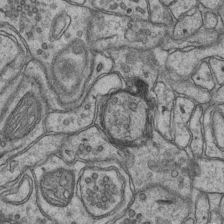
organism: Mouse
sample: CA1 Hippocampus